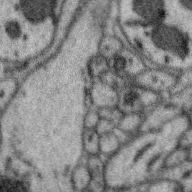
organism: Zebra finch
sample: Brain